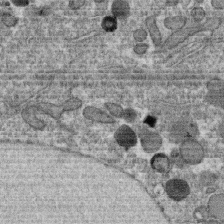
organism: C. elegans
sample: C. elegans oocyte; sperm cells